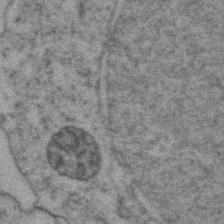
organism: Zebrafish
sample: Zebrafish embryo